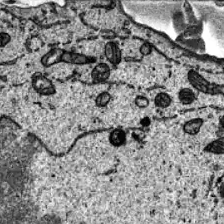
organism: Human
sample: HeLa cells